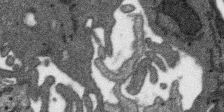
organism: Human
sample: Lung epithelial cells infected with SARS-CoV-2